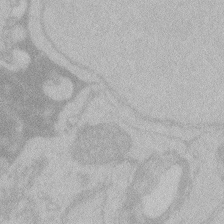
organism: Zebrafish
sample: Macrophage infected with Toxoplasma gondii